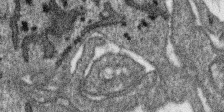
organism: Human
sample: Lung epithelial cells infected with SARS-CoV-2